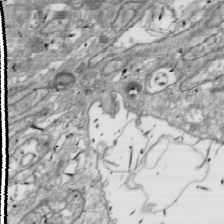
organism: Drosophila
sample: Cell division; meiosis; drosophila spermatocytes